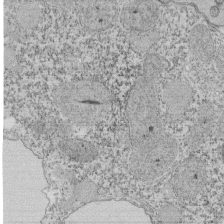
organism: Tetrahymena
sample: Cilia in tetrahymena